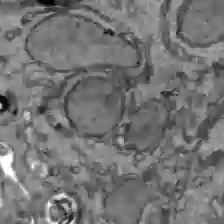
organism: C57BL Mouse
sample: Liver